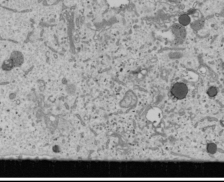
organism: Human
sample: Mitochondria in U2OS cells